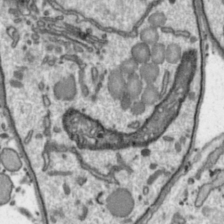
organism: Toxoplasma gondii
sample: Parasites in a vacuole inside a host cell